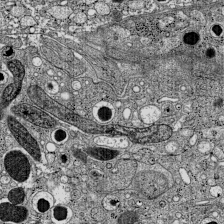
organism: C57BL Mouse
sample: Pancreatic islet